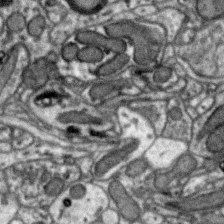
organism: Zebra finch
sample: Brain